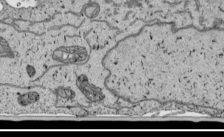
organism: Human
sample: Mitochondria in HCT116 cells